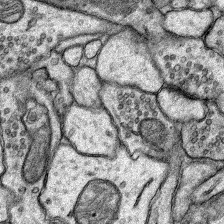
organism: Rat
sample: Hippocampus